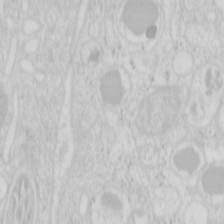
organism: Mouse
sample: Pancreas